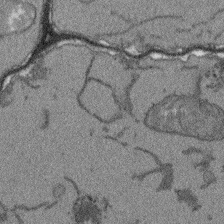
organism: Arabidopsis thaliana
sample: Root tip